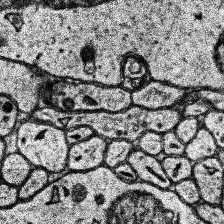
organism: Human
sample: Temporal Lobe